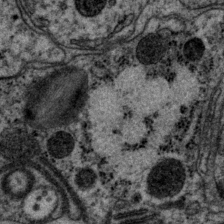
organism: P. pacificus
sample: Pharynx